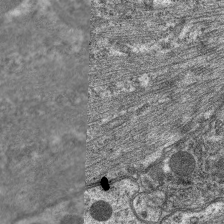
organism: C. elegans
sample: Pharynx